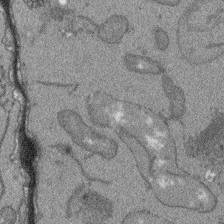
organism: Arabidopsis thaliana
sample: Root tip